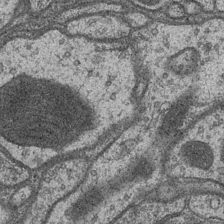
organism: Drosophila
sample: Optic medulla